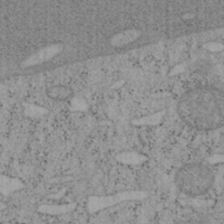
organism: Mouse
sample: OT-I killer T cells with ID8 ovarian cancer cells